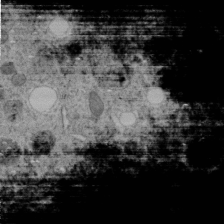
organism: C. elegans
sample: C. elegans embryo early stage